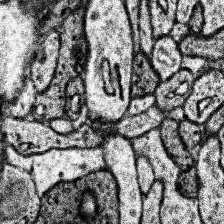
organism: Human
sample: Temporal Lobe